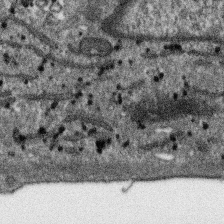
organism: Human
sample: Lung epithelial cells infected with SARS-CoV-2